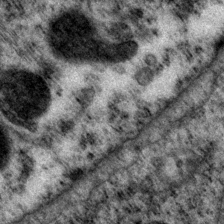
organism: P. pacificus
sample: Pharynx